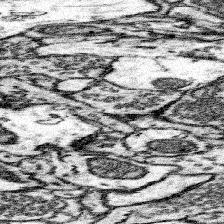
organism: Mouse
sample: Somatosensory cortex neuropil